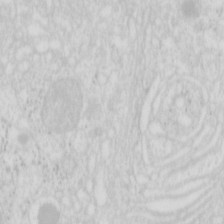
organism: Mouse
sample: Pancreas